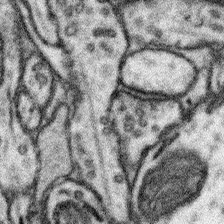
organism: Mouse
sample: Somatosensory cortex neuropil